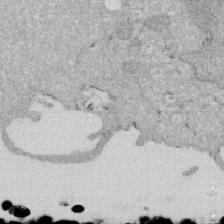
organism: Human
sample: HIV infected U937 cells